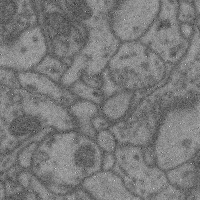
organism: Mouse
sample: Cerebral cortex